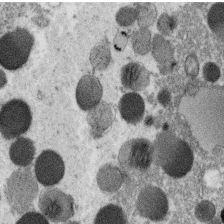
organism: C. elegans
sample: C. elegans oocyte; sperm cells